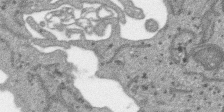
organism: Human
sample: Lung epithelial cells infected with SARS-CoV-2